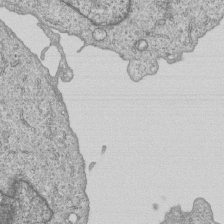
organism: Human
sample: MDA-MB-231 cells